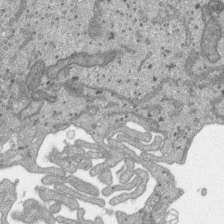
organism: Human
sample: Lung epithelial cells infected with SARS-CoV-2